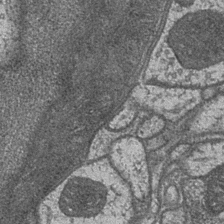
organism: Drosophila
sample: Optic medulla